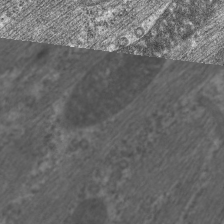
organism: C. elegans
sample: Pharynx